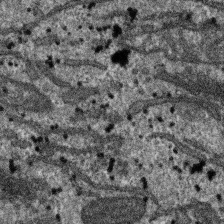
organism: Human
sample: Lung epithelial cells infected with SARS-CoV-2